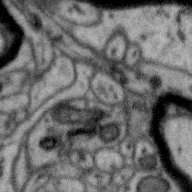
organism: Zebra finch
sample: Brain